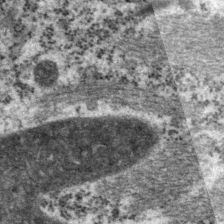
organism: P. pacificus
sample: Pharynx